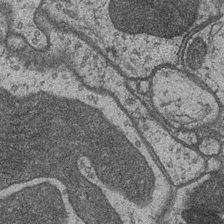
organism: Drosophila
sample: Optic medulla